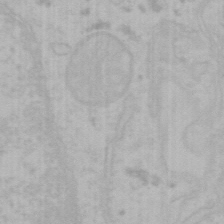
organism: Mouse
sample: Choroid plexus